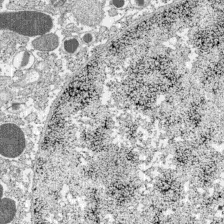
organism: C57BL Mouse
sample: Pancreatic islet